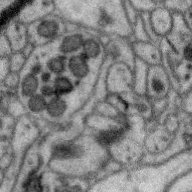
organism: Zebra finch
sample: Brain